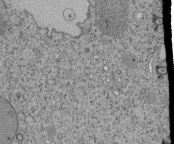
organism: Tetrahymena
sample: Cilia in tetrahymena